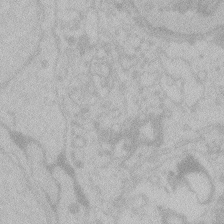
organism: Zebrafish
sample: Macrophage infected with Toxoplasma gondii